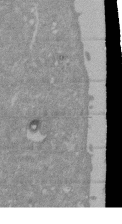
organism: Mouse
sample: ED-1 cell nuclei; centrioles